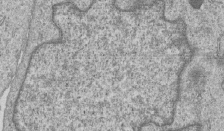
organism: Human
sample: MDA-MB-231 cells